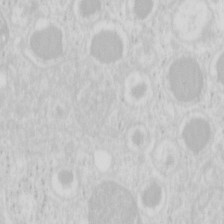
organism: Mouse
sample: Pancreas